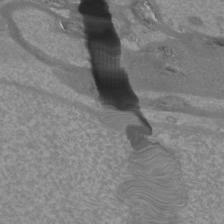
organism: Mouse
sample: Cortical neurons